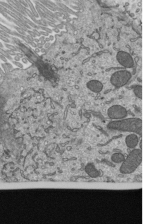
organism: Mouse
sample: Mouse epididymis efferent ductule cilia